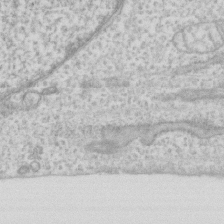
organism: Human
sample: Fibroblast cells